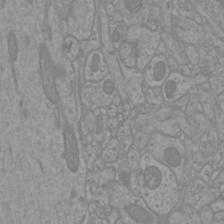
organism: Mouse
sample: Cortical neurons